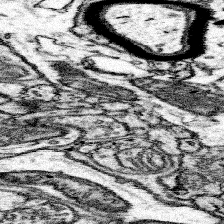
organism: Mouse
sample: Somatosensory cortex neuropil